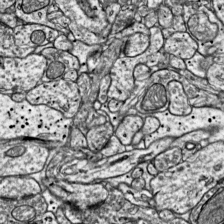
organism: Mouse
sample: Visual Cortex